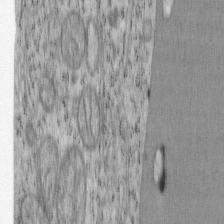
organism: Human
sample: HeLa cells